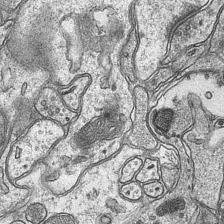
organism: Mouse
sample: CA1 Hippocampus